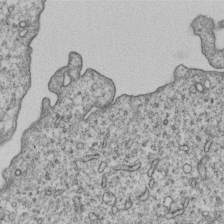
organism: Human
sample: MDA-MB-231 cells